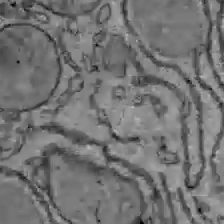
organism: C57BL Mouse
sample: Liver